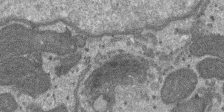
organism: Human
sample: Lung epithelial cells infected with SARS-CoV-2